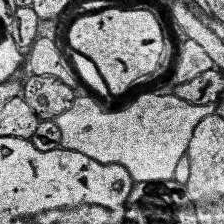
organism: Human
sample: Temporal Lobe